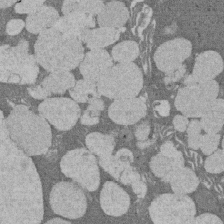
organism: Rat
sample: Salivary granule